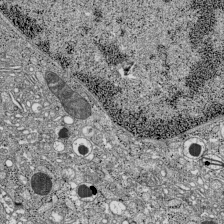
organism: C57BL Mouse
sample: Pancreatic islet